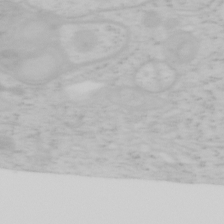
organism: Mouse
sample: OT-I killer T cells with ID8 ovarian cancer cells